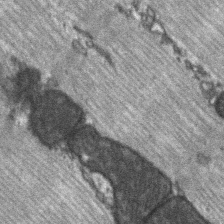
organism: C57BL Mouse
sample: Soleus